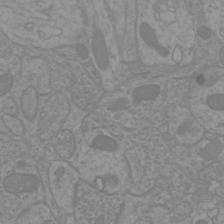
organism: Mouse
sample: Cortical neurons